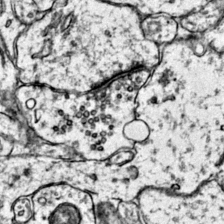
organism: Mouse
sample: Primary visual cortex